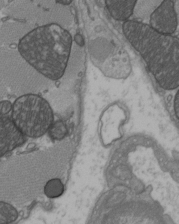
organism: C57BL Mouse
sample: Heart